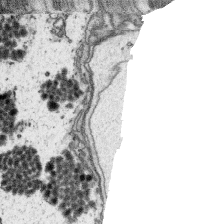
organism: Platynereis dumerilii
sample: Parapodia